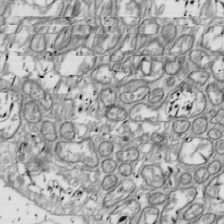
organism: Drosophila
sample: Cell division; meiosis; drosophila spermatocytes